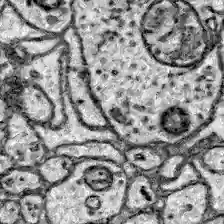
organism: Zebrafish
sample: Brain